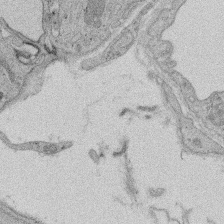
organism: Rat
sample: Salivary granule